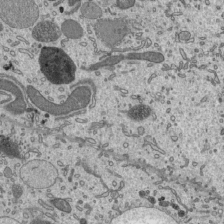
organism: Mouse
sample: Mouse epididymis efferent ductule cilia